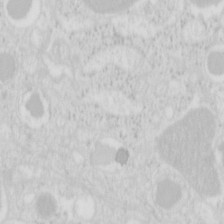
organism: Mouse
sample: Pancreas